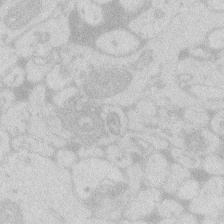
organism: Zebrafish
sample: Macrophage